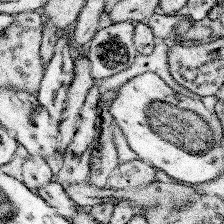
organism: Mouse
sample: Somatosensory cortex neuropil